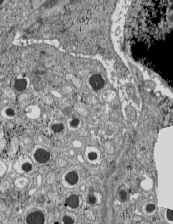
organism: C57BL Mouse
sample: Pancreatic islet